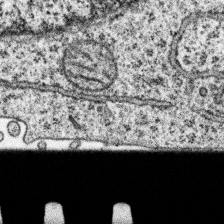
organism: Human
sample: HeLa cells